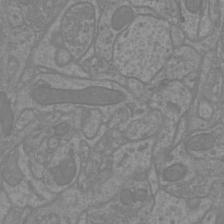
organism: Mouse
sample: Cortical neurons